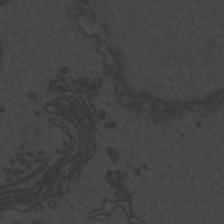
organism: Zebrafish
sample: Macrophage infected with Toxoplasma gondii